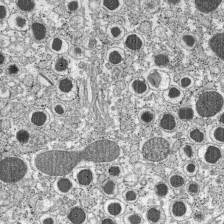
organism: C57BL Mouse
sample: Pancreatic islet